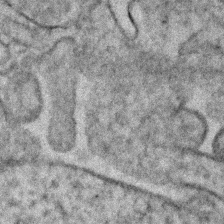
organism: Human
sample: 1205lu cells